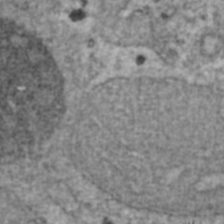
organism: Human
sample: Blood